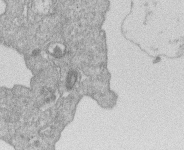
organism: Human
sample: Macrophage cells